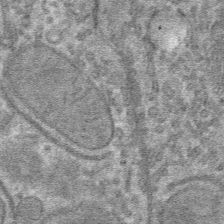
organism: Mouse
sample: Mouse hepatocytes